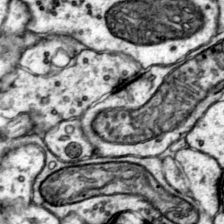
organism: Mouse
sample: Primary visual cortex